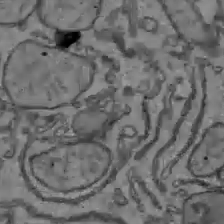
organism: C57BL Mouse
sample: Liver